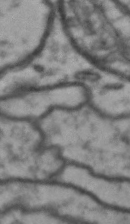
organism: Drosophila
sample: Brain